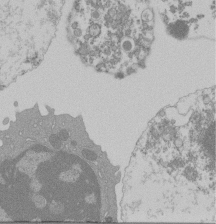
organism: Mouse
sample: Activated Pmel transgenic CD8+ T Cells